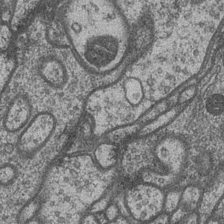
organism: Drosophila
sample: Optic medulla